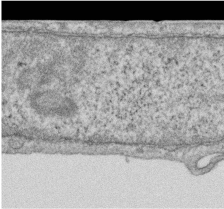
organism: Human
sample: Centriole in RPE cells